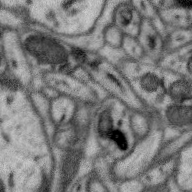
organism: Zebra finch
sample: Brain